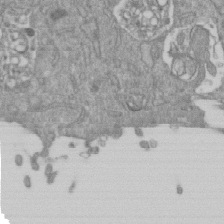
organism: Mouse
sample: ED-1 cell nuclei; centrioles